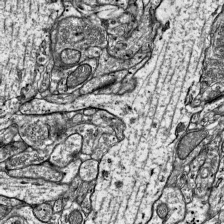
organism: Mouse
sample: Visual Cortex